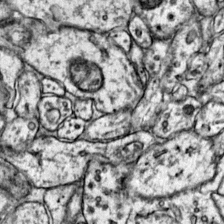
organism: Mouse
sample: Primary visual cortex